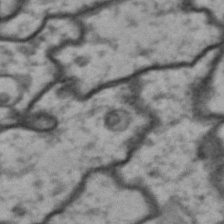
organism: Drosophila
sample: Brain